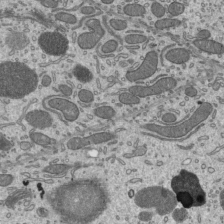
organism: Mouse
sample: Mouse epididymis efferent ductule cilia